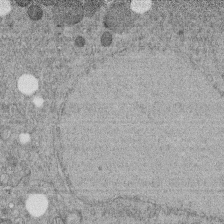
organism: C. elegans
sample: C. elegans embryo early stage